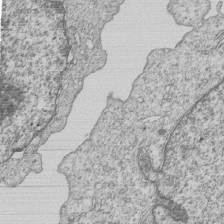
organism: Human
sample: MDA-MB-231 cells